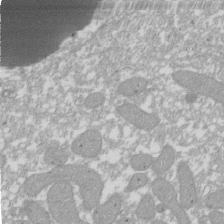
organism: Xenopus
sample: Cilia; centrioles in frog embryo cells